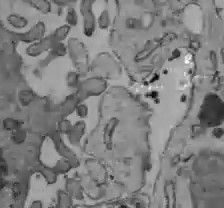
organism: C57BL Mouse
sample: Liver